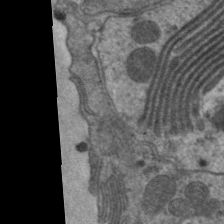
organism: C. elegans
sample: Pharynx